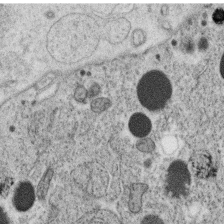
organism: C. elegans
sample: C. elegans oocyte; sperm cells